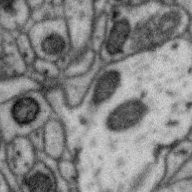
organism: Zebra finch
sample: Brain